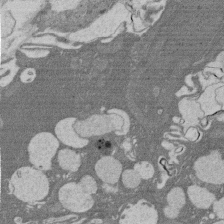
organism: Rat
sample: Salivary granule